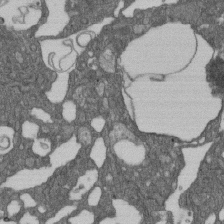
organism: Drosophila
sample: Nephrocyte